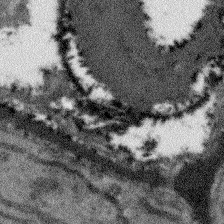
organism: Arabidopsis thaliana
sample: Root tip